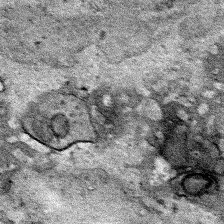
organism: Human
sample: Mitochondria in HCT116 cells